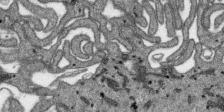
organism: Human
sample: Lung epithelial cells, uninfected (mock) control